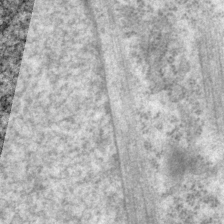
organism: P. pacificus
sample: Pharynx